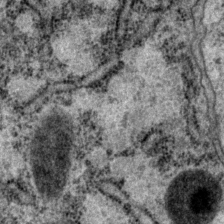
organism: P. pacificus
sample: Pharynx